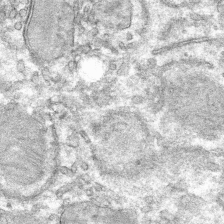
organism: Mouse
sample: Mouse hepatocytes